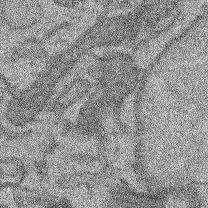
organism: Human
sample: HeLa cells